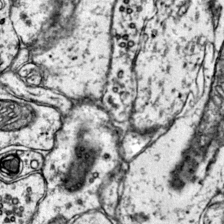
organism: Mouse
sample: Primary visual cortex